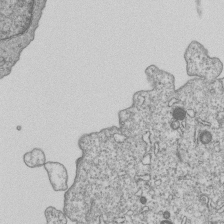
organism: Human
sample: MDA-MB-231 cells